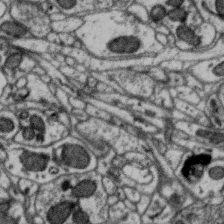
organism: Zebra finch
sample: Brain